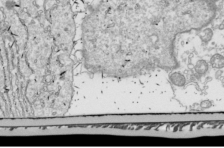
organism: Drosophila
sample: Cell division; meiosis; drosophila spermatocytes